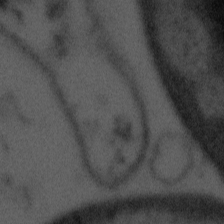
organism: Tuwongella immobilis